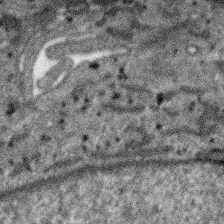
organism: Human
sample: Lung epithelial cells infected with SARS-CoV-2